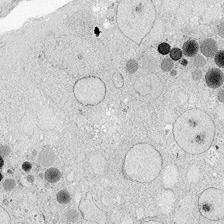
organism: Zebrafish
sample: Whole-Brain